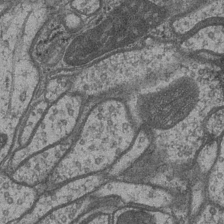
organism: Drosophila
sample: Optic medulla